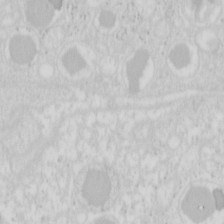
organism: Mouse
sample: Pancreas